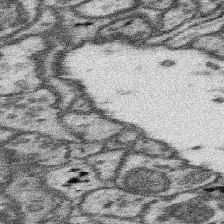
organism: Mouse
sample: Somatosensory cortex neuropil